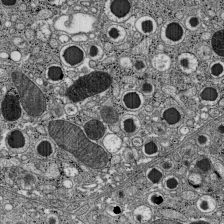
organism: C57BL Mouse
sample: Pancreatic islet